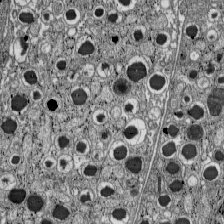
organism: C57BL Mouse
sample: Pancreatic islet